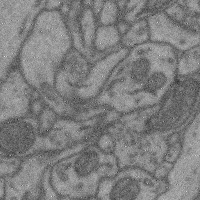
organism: Mouse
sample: Cerebral cortex